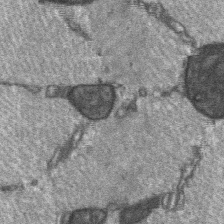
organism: C57BL Mouse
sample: Soleus